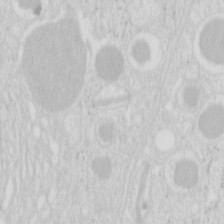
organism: Mouse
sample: Pancreas